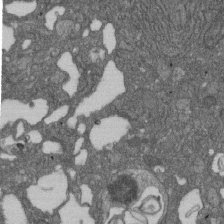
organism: Drosophila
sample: Nephrocyte